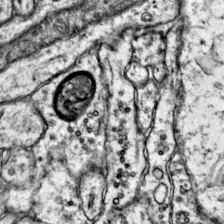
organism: Mouse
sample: Primary visual cortex